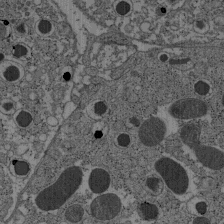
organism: C57BL Mouse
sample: Pancreatic islet